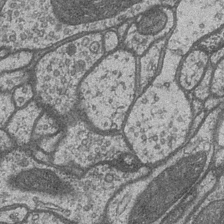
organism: Drosophila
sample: Optic medulla